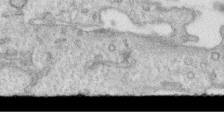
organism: Human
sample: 1205lu cells